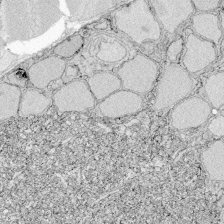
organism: Zebrafish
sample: Whole-Brain